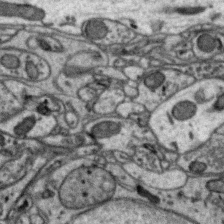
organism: Zebra finch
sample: Brain